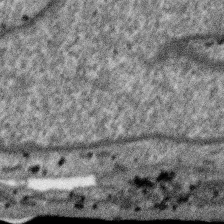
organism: Human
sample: Lung epithelial cells infected with SARS-CoV-2